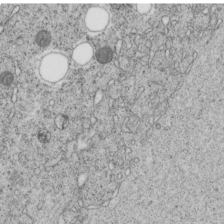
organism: C. elegans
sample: C. elegans embryo early stage